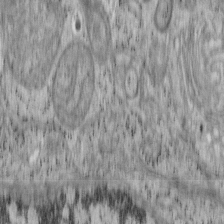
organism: Human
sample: HeLa cells